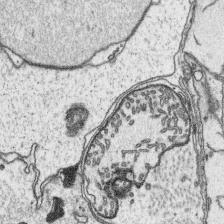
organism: Platynereis dumerilii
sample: Parapodia